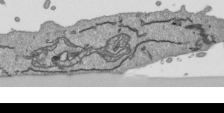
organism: Human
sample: Mitochondria in HCT116 cells